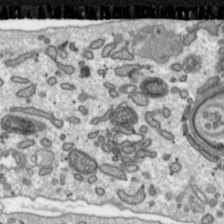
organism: Toxoplasma gondii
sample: Parasites in a vacuole inside a host cell